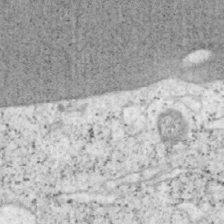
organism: Mouse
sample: OT-I killer T cells with ID8 ovarian cancer cells